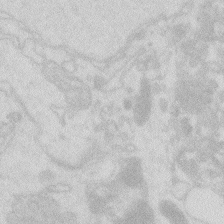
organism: Zebrafish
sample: Macrophage